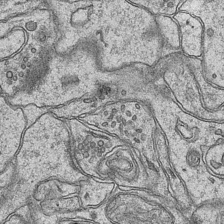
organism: Mouse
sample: CA1 Hippocampus